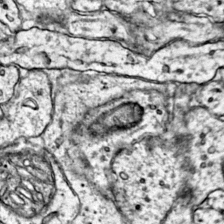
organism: Mouse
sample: Primary visual cortex